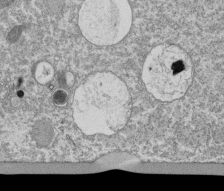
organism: Tetrahymena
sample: Cilia in tetrahymena